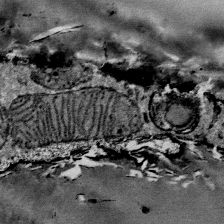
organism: Mouse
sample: Mouse Salivary gland